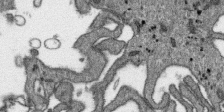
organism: Human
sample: Lung epithelial cells, uninfected (mock) control